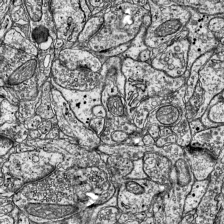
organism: Mouse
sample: Visual Cortex